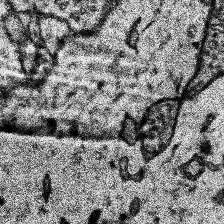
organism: Human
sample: Temporal Lobe